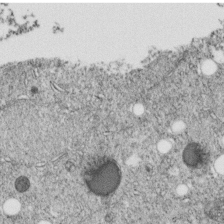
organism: C. elegans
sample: C. elegans embryo early stage